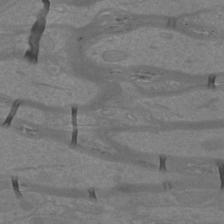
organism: Mouse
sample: Cortical neurons